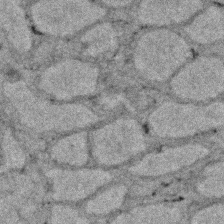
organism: Zebrafish